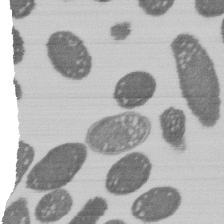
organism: E. coli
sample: Bacterial nucleoid